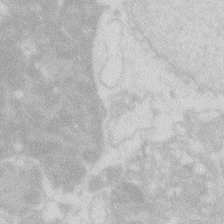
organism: Zebrafish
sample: Macrophage